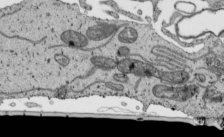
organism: Human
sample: Mitochondria in HCT116 cells